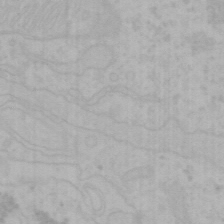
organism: Mouse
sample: Choroid plexus